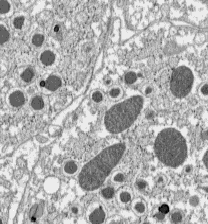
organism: C57BL Mouse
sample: Pancreatic islet